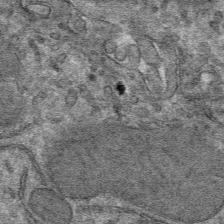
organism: Mouse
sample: Mouse hepatocytes